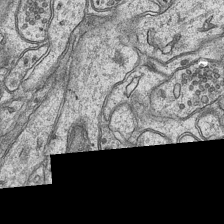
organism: Mouse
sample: CA1 Hippocampus